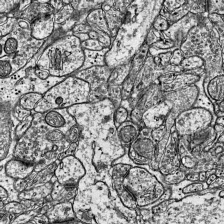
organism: Mouse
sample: Visual Cortex